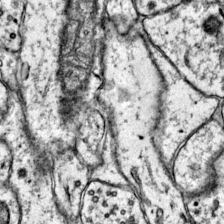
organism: Mouse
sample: Primary visual cortex